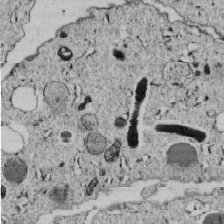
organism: C. elegans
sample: C. elegans embryo early stage